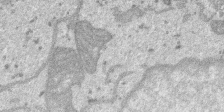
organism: Human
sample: Lung epithelial cells infected with SARS-CoV-2